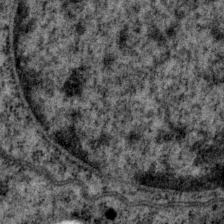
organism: P. pacificus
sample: Pharynx